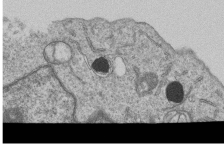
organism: Human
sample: MDA-MB-231 cells